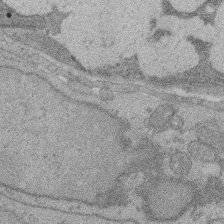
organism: Rat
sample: Salivary granule